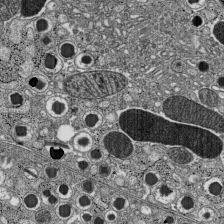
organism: C57BL Mouse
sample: Pancreatic islet